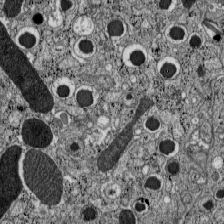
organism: C57BL Mouse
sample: Pancreatic islet